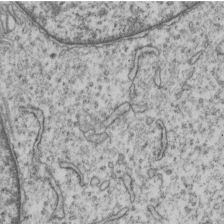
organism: Human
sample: MDA-MB-231 cells